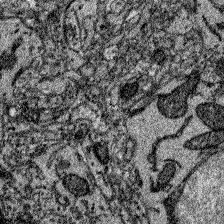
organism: Zebrafish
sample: Larval olfactory bulb